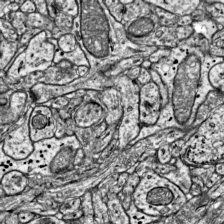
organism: Mouse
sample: Visual Cortex